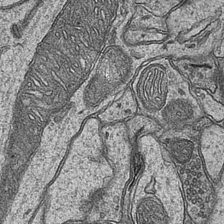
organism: Mouse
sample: CA1 Hippocampus